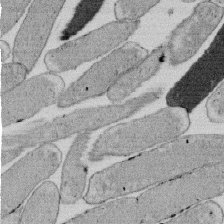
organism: E. coli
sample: Bacterial nucleoid